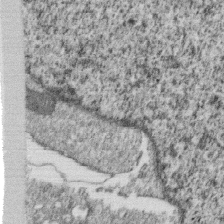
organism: African green monkey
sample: Vero E6 cells infected with SARS-CoV-2